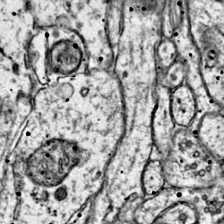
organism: Mouse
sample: Primary visual cortex